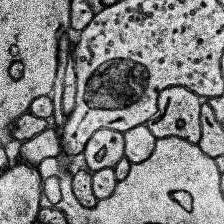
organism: Human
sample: Temporal Lobe